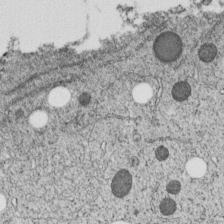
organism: C. elegans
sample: C. elegans embryo early stage